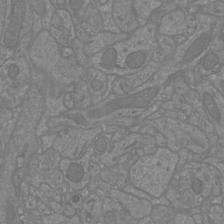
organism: Mouse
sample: Cortical neurons